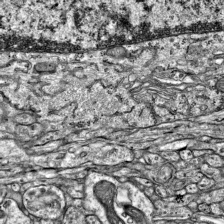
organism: Mouse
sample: Visual Cortex